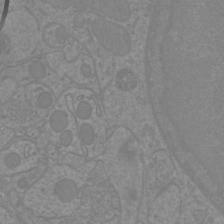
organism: Mouse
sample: Cortical neurons